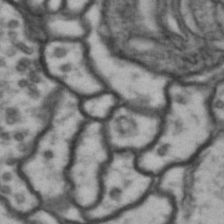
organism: Drosophila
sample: Brain